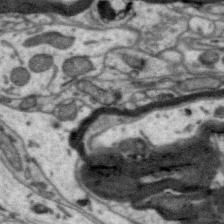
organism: Zebra finch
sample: Brain